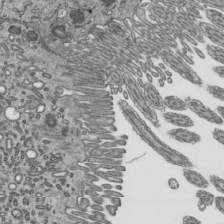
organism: Mouse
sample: Mouse epididymis efferent ductule cilia